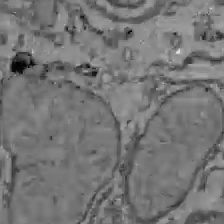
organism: C57BL Mouse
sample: Liver